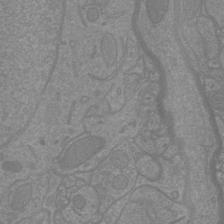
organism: Mouse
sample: Cortical neurons